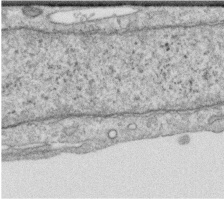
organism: Human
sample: Centriole in RPE cells